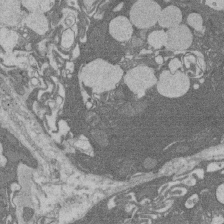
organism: Rat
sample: Salivary granule